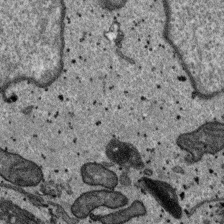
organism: Human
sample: Lung epithelial cells, uninfected (mock) control